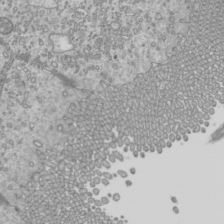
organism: Mouse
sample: Cilia; mouse epididymis